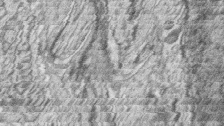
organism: Zebrafish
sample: synaptic ribbons in rod cells and cone cells